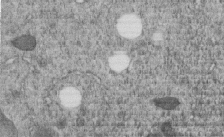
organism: C. elegans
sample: C. elegans embryo early stage